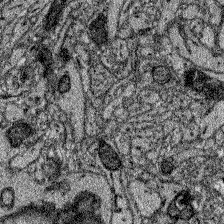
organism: Zebrafish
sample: Larval olfactory bulb